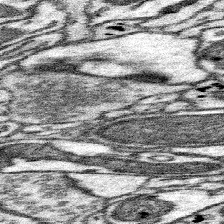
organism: Mouse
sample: Somatosensory cortex neuropil